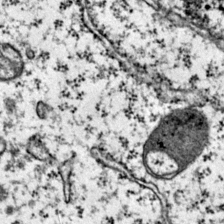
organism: Mouse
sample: Primary visual cortex